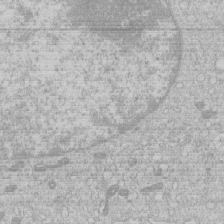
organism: Human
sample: Macrophage cells